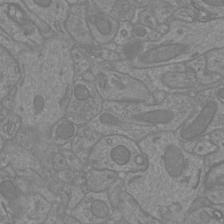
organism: Mouse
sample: Cortical neurons